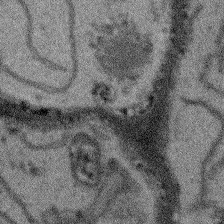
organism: Arabidopsis thaliana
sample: Root tip